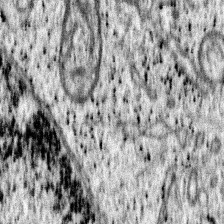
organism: Human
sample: HeLa cells